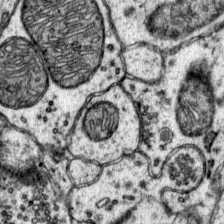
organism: Mouse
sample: Primary visual cortex